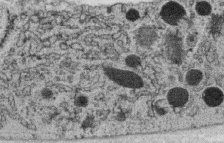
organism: C. elegans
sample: C. elegans oocyte; sperm cells